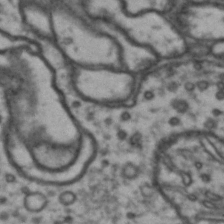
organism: Drosophila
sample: Brain